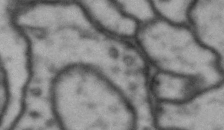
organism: Drosophila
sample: Brain